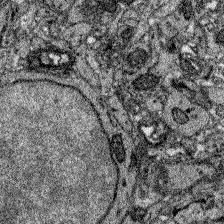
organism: Zebrafish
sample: Larval olfactory bulb